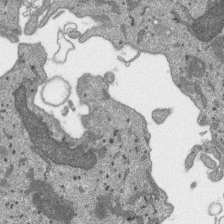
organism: Human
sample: Lung epithelial cells infected with SARS-CoV-2